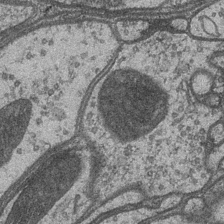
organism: Drosophila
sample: Optic medulla